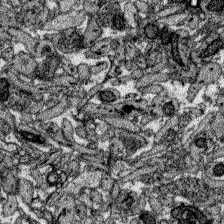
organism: Zebrafish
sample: Larval olfactory bulb